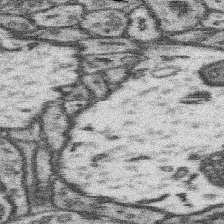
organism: Mouse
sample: Somatosensory cortex neuropil